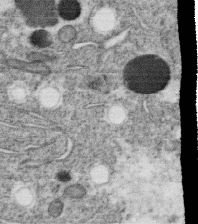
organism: C. elegans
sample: C. elegans oocyte; sperm cells